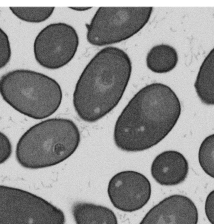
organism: B. subtilis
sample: Bacterial spore